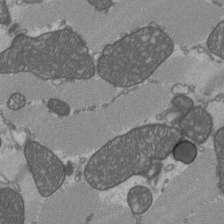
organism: C57BL Mouse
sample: Heart